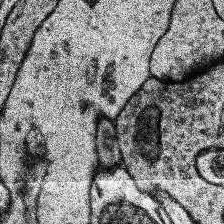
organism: Human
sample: Temporal Lobe